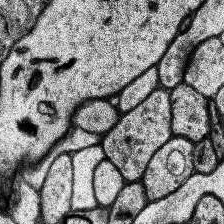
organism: Human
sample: Temporal Lobe